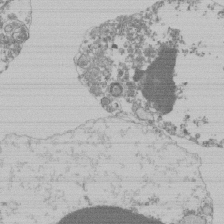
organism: Mouse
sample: Activated Pmel transgenic CD8+ T Cells